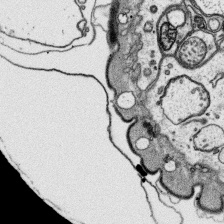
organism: Platynereis dumerilii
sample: Parapodia